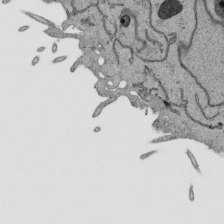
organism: Human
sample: Mitochondria in HCT116 cells